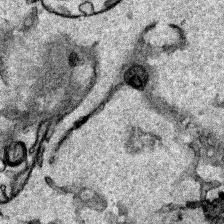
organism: Human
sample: Mitochondria in HCT116 cells